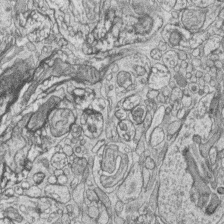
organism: Zebrafish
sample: synaptic ribbons in rod cells and cone cells